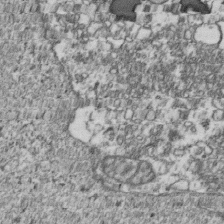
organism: Human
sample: Activated Jurkat CD4+ T cells